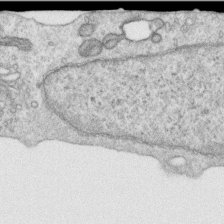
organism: Human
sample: Centriole in RPE cells